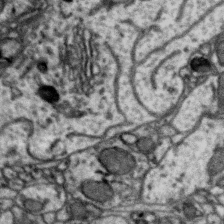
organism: Zebra finch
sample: Brain